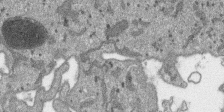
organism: Human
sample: Lung epithelial cells infected with SARS-CoV-2